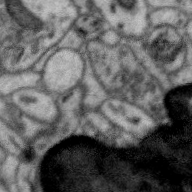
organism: Zebra finch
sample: Brain